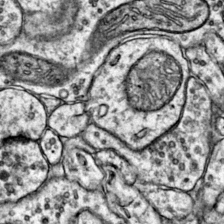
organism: Mouse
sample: Primary visual cortex